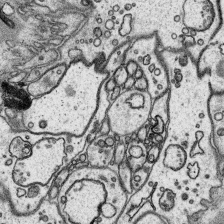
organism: Platynereis dumerilii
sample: Parapodia